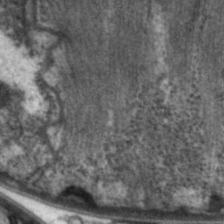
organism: C. elegans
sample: Pharynx